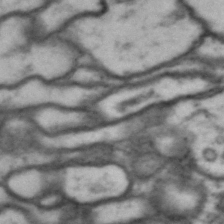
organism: Drosophila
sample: Brain